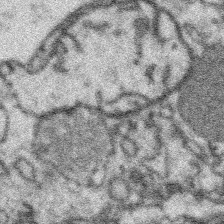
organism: Platynereis dumerilii